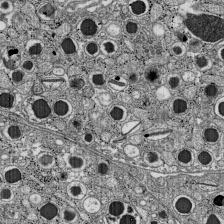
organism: C57BL Mouse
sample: Pancreatic islet